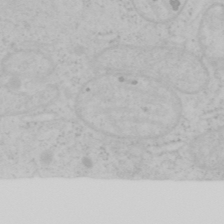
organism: Mouse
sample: OT-I killer T cells with ID8 ovarian cancer cells